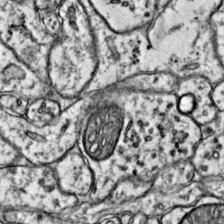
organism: Mouse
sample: Primary visual cortex